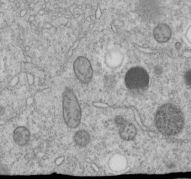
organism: C. elegans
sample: C. elegans embryo early stage